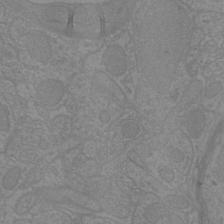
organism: Mouse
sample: Cortical neurons